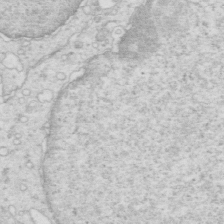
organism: Mouse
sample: Multiciliated cells